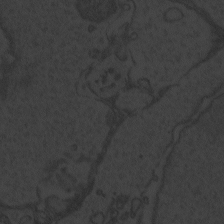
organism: Zebrafish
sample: Macrophage infected with Toxoplasma gondii